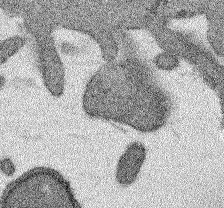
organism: Human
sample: HeLa cells